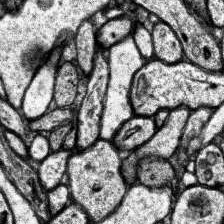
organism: Human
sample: Temporal Lobe